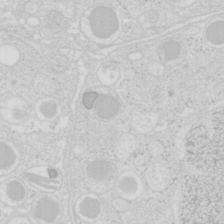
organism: Mouse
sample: Pancreas